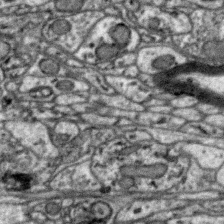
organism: Zebra finch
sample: Brain